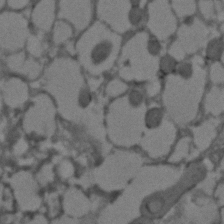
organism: C. elegans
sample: C. elegans embryo